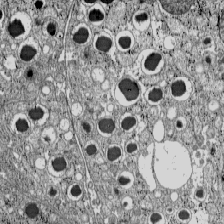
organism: C57BL Mouse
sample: Pancreatic islet